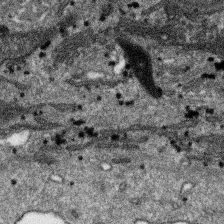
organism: Human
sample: Lung epithelial cells infected with SARS-CoV-2